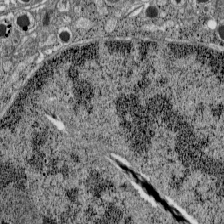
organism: C57BL Mouse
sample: Pancreatic islet